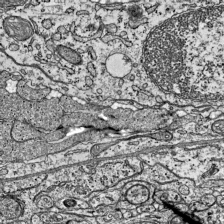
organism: Mouse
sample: Visual Cortex